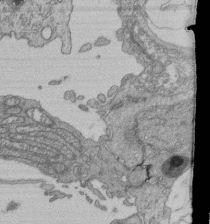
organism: Human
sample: Retinal organoid Rod and Cone cells